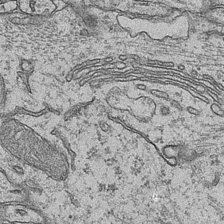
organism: Mouse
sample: CA1 Hippocampus